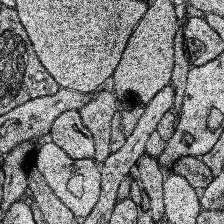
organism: Human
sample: Temporal Lobe